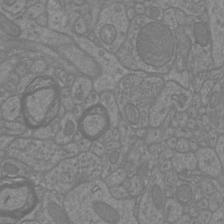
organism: Mouse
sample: Cortical neurons